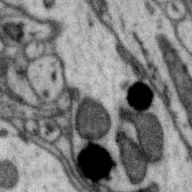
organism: Zebra finch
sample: Brain